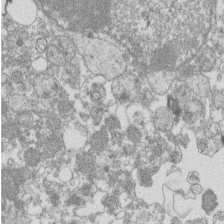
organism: Human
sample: HeLa cell HIV synapse